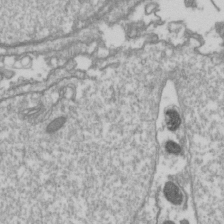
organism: Drosophila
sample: Cell division; meiosis; drosophila spermatocytes